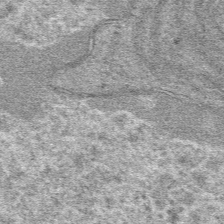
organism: Mouse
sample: Mouse hepatocytes